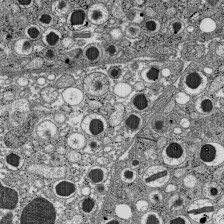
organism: C57BL Mouse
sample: Pancreatic islet